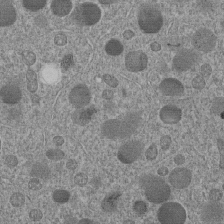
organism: C. elegans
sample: C. elegans embryo early stage